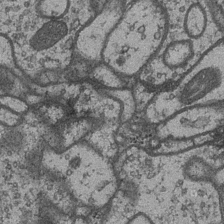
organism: Drosophila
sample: Optic medulla